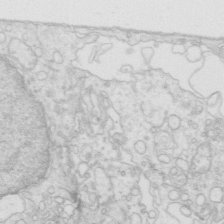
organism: Mouse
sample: Multiciliated cells